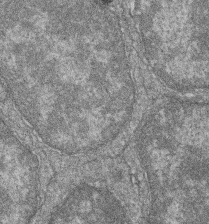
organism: Zebrafish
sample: Cilia; retinal pigment epithelium